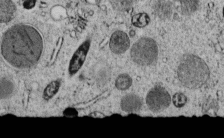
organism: C. elegans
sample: C. elegans embryo early stage